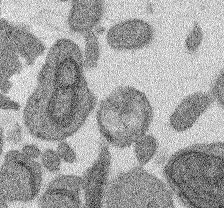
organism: Human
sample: HeLa cells